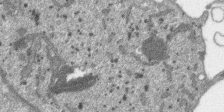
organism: Human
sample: Lung epithelial cells infected with SARS-CoV-2